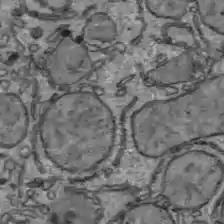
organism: C57BL Mouse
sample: Liver